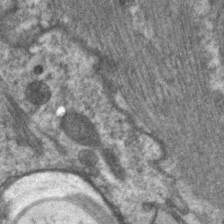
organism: C. elegans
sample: Pharynx